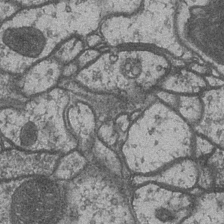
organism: Drosophila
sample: Optic medulla